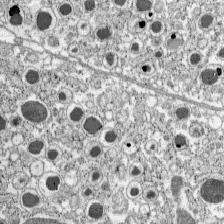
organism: C57BL Mouse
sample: Pancreatic islet